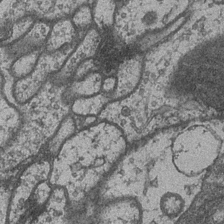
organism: Drosophila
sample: Optic medulla